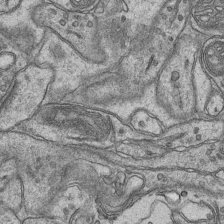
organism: Mouse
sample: CA1 Hippocampus